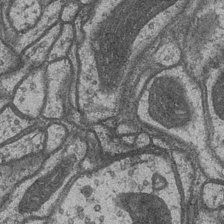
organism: Drosophila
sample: Optic medulla